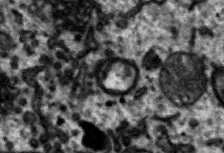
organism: Human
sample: HeLa cells